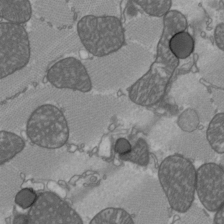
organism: C57BL Mouse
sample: Heart